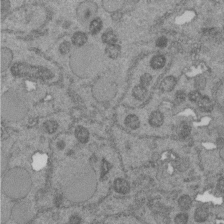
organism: C. elegans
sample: C. elegans embryo early stage